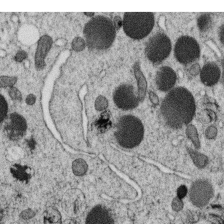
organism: C. elegans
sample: C. elegans oocyte; sperm cells